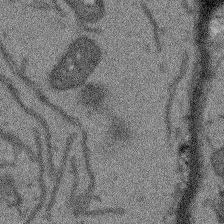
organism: Arabidopsis thaliana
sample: Root tip